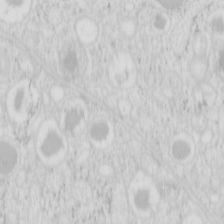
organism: Mouse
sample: Pancreas